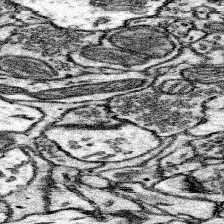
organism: Mouse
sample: Somatosensory cortex neuropil